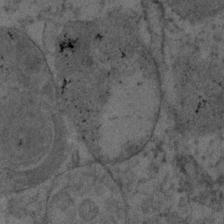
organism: Human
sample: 1205lu cells